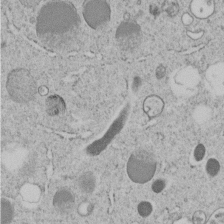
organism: C. elegans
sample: C. elegans embryo early stage